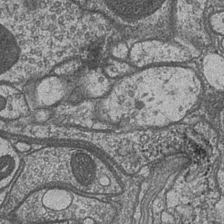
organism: Drosophila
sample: Optic medulla